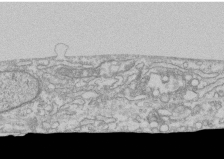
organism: Human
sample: CRL-1474